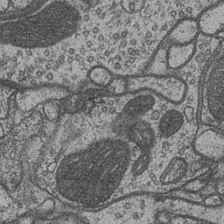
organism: Drosophila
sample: Optic medulla